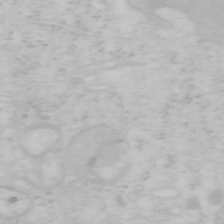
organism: Mouse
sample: OT-I killer T cells with ID8 ovarian cancer cells